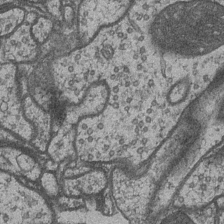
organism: Drosophila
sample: Optic medulla